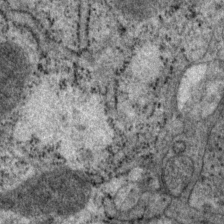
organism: P. pacificus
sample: Pharynx